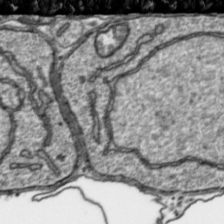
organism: Toxoplasma gondii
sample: Parasites in a vacuole inside a host cell